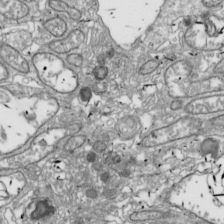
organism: Drosophila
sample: Cell division; meiosis; drosophila spermatocytes